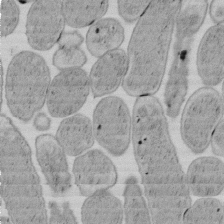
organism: E. coli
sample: Bacterial nucleoid